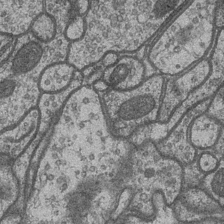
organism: Drosophila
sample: Optic medulla